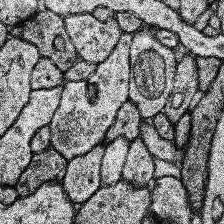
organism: Human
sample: Temporal Lobe